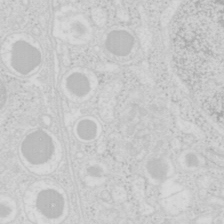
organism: Mouse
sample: Pancreas